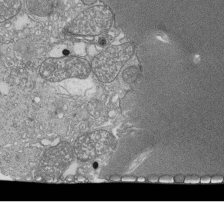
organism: Tetrahymena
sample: Cilia in tetrahymena